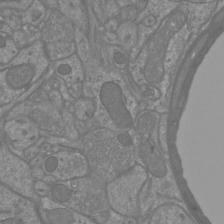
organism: Mouse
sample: Cortical neurons